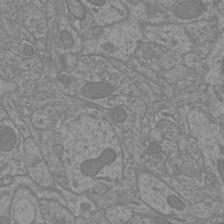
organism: Mouse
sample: Cortical neurons